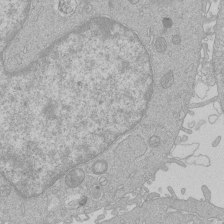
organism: Human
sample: Macrophage cells